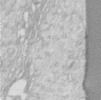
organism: Human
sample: Centriole in RPE cells